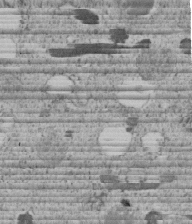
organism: C. elegans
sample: C. elegans embryo early stage